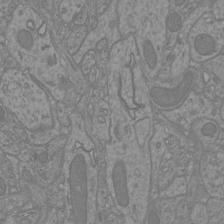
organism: Mouse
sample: Cortical neurons